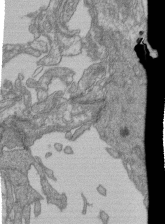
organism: Human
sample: Retinal organoid Rod and Cone cells